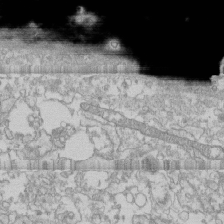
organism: Human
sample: CRL-1474